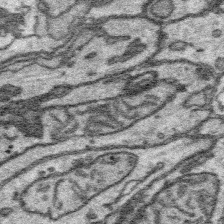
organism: Platynereis dumerilii